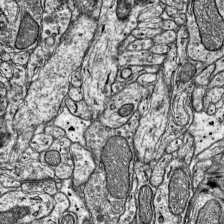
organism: Mouse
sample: Visual Cortex